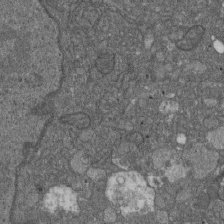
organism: Drosophila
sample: Nephrocyte